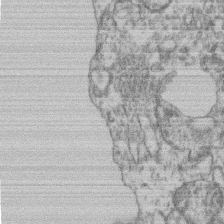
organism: Mouse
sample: T cell stromal cell synapse